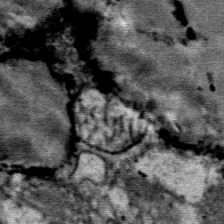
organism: Mouse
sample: Mouse Salivary gland